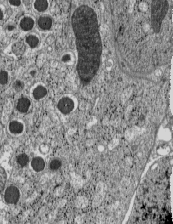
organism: C57BL Mouse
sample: Pancreatic islet